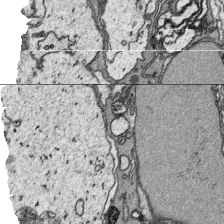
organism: Platynereis dumerilii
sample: Parapodia